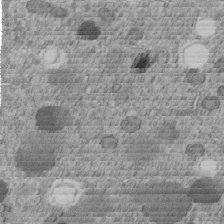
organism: C. elegans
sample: C. elegans embryo early stage